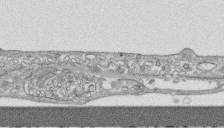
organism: Human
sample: CRL-1474